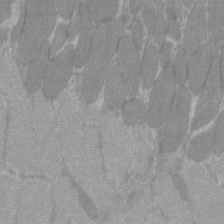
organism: C57BL Mouse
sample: Tibialis anterior muscle cell